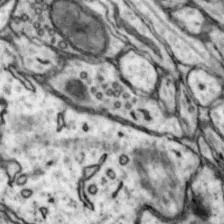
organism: Mouse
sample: Nucleus accumbens